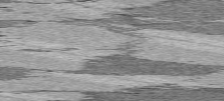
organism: C57BL Mouse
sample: Heart